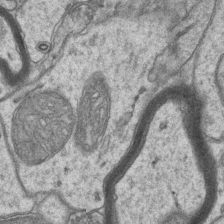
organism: Mouse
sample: CA1 Hippocampus